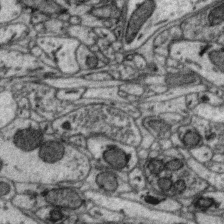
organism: Zebra finch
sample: Brain